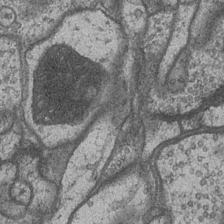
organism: Drosophila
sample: Optic medulla